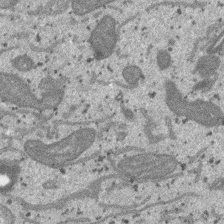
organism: Human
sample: Lung epithelial cells infected with SARS-CoV-2